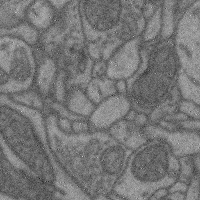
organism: Mouse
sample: Cerebral cortex